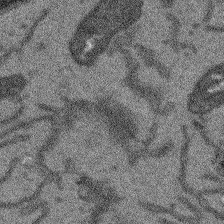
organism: Arabidopsis thaliana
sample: Root tip